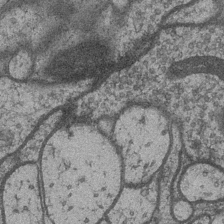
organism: Drosophila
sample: Optic medulla